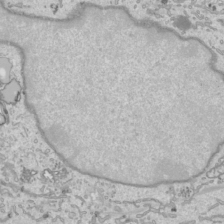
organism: Human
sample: Mitochondria in HCT116 cells